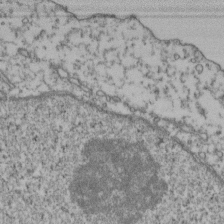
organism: Human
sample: Activated Jurkat CD4+ T cells